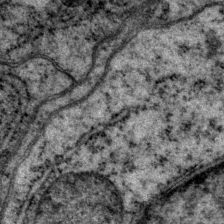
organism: P. pacificus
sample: Pharynx